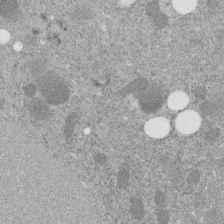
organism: C. elegans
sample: C. elegans embryo early stage